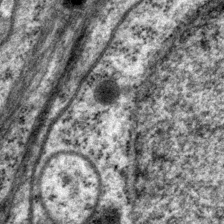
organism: P. pacificus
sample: Pharynx